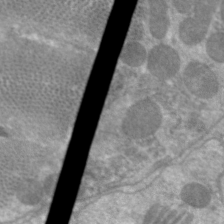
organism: C. elegans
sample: Pharynx